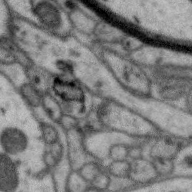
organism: Zebra finch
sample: Brain